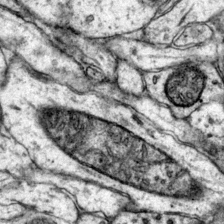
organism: Mouse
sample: Primary visual cortex